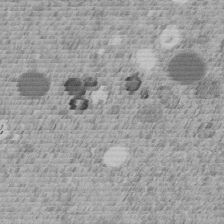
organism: C. elegans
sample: C. elegans embryo early stage